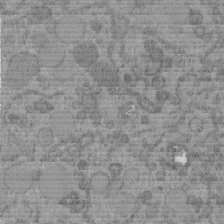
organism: C. elegans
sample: C. elegans embryo early stage